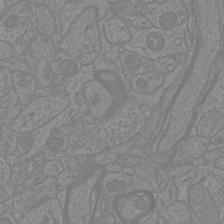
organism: Mouse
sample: Cortical neurons